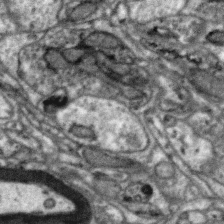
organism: Zebra finch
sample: Brain